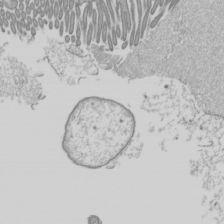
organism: Mouse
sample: Cilia; mouse epididymis